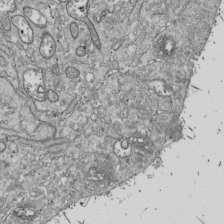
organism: Drosophila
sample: Cell division; meiosis; drosophila spermatocytes